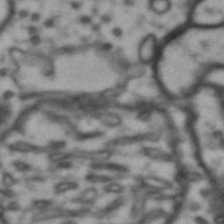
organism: Drosophila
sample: Brain